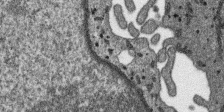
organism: Human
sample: Lung epithelial cells infected with SARS-CoV-2